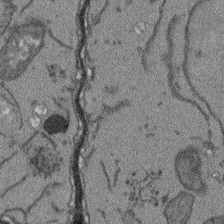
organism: Arabidopsis thaliana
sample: Root tip